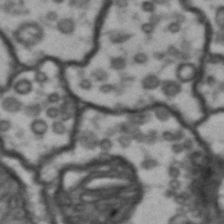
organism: Drosophila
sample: Brain